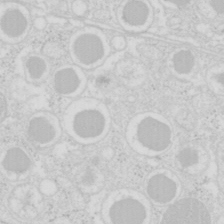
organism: Mouse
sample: Pancreas